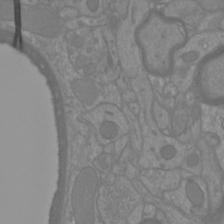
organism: Mouse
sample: Cortical neurons